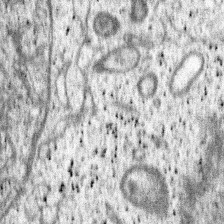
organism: Human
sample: HeLa cells